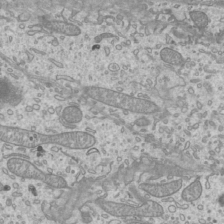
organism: Mouse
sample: Cilia; mouse epididymis